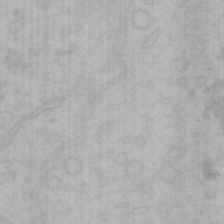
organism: Mouse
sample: Choroid plexus